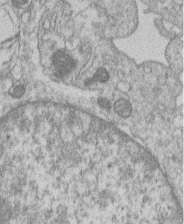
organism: Human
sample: Macrophage cells